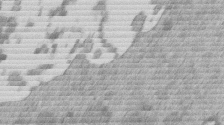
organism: Mouse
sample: Dividing mouse embryo 1 cell stage